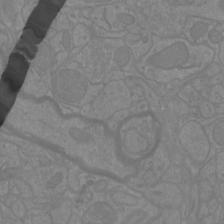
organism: Mouse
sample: Cortical neurons